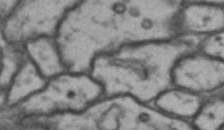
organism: Drosophila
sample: Brain